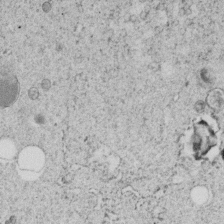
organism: C. elegans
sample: C. elegans embryo early stage